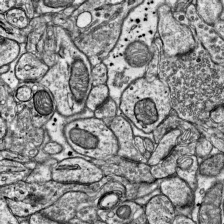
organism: Mouse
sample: Visual Cortex